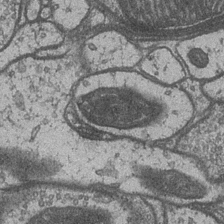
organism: Drosophila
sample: Optic medulla